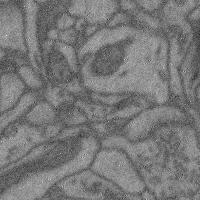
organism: Mouse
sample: Cerebral cortex